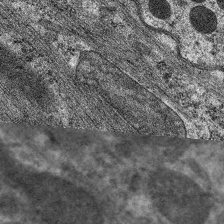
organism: C. elegans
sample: Pharynx